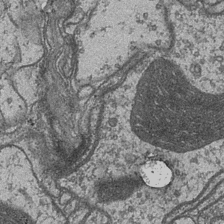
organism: Drosophila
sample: Optic medulla